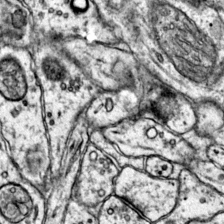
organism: Mouse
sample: Primary visual cortex